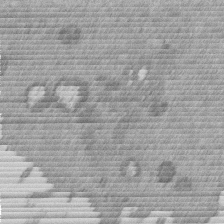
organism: Mouse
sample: Dividing mouse embryo 1 cell stage